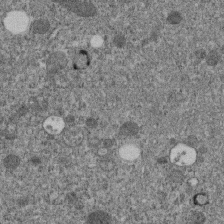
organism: C. elegans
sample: C. elegans embryo early stage